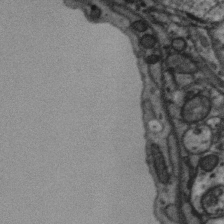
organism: Zebra finch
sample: Brain